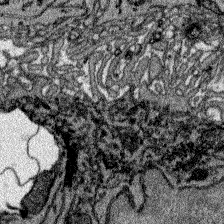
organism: Zebrafish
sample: Larval olfactory bulb